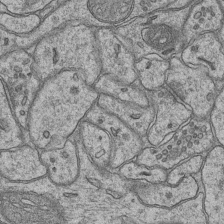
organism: Mouse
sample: CA1 Hippocampus